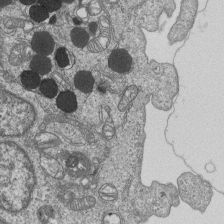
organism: Human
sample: MDA-MB-231 cells